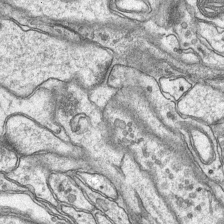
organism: Mouse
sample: CA1 Hippocampus